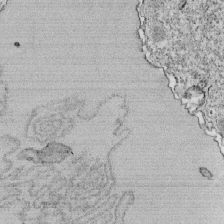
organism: Tetrahymena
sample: Cilia in tetrahymena